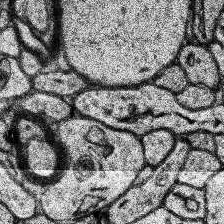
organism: Human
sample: Temporal Lobe